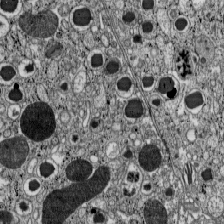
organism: C57BL Mouse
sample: Pancreatic islet